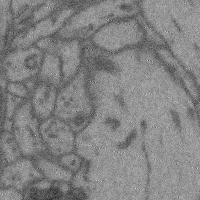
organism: Mouse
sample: Cerebral cortex